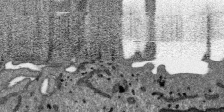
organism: Human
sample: Lung epithelial cells, uninfected (mock) control